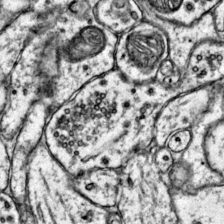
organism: Mouse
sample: Primary visual cortex